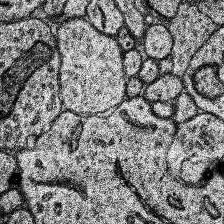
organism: Human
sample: Temporal Lobe